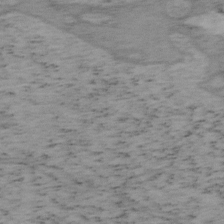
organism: Mouse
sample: OT-I killer T cells with ID8 ovarian cancer cells